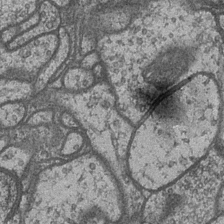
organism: Drosophila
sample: Optic medulla